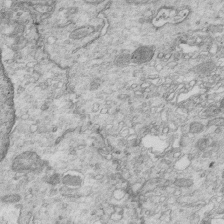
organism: Mouse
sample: Multiciliated cells